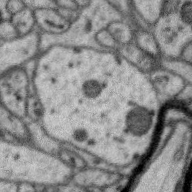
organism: Zebra finch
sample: Brain